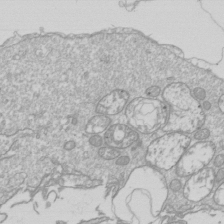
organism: Drosophila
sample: Cell division; meiosis; drosophila spermatocytes